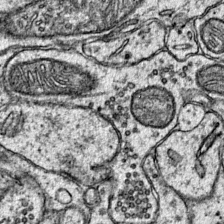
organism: Mouse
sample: Primary visual cortex